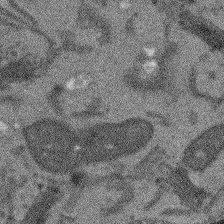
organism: Arabidopsis thaliana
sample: Root tip